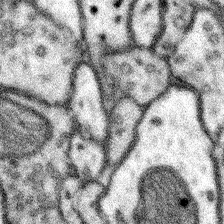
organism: Mouse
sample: Somatosensory cortex neuropil